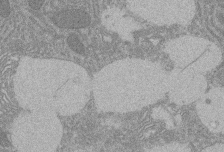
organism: Rat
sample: Salivary granule